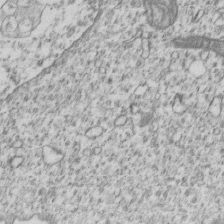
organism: Human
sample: MDA-MB-231 cells